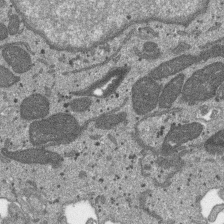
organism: Human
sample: Lung epithelial cells infected with SARS-CoV-2